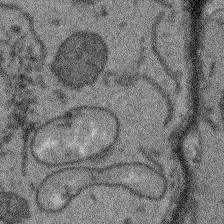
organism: Arabidopsis thaliana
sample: Root tip